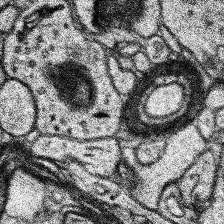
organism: Human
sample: Temporal Lobe